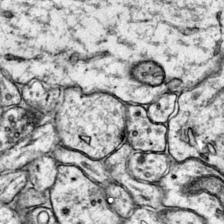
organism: Mouse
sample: Primary visual cortex